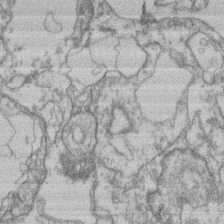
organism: Mouse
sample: T cell stromal cell synapse